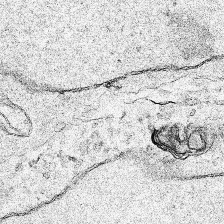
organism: Human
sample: Mitochondria in HCT116 cells